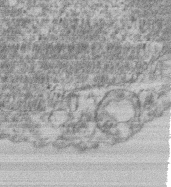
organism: Mouse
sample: T cell stromal cell synapse